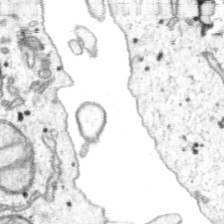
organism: Human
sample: HeLa cells